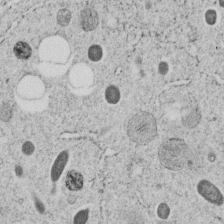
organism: C. elegans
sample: C. elegans embryo early stage